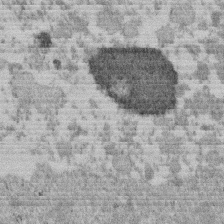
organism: Mouse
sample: Dividing mouse embryo 1 cell stage